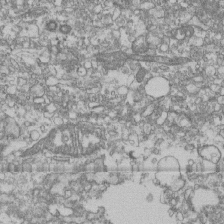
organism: Human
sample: Fibroblast cells